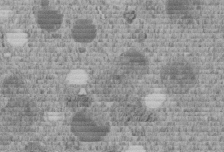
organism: C. elegans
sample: C. elegans embryo early stage